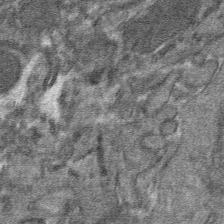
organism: Mouse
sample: Mouse hepatocytes